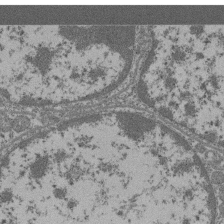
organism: Mouse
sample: Glomerulus